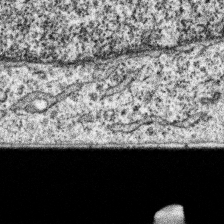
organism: Human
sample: HeLa cells